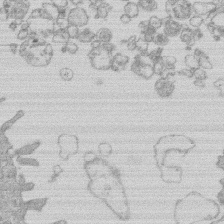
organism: Human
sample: Macrophage cells